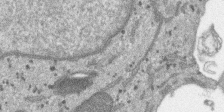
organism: Human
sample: Lung epithelial cells infected with SARS-CoV-2